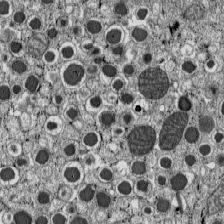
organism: C57BL Mouse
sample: Pancreatic islet